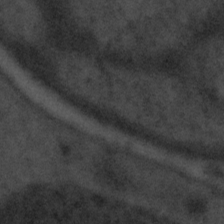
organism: Tuwongella immobilis